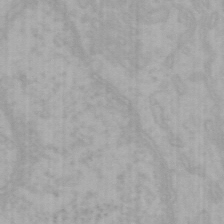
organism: Mouse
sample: Choroid plexus